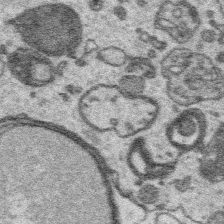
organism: Platynereis dumerilii